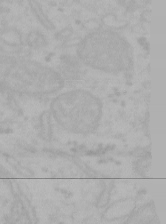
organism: Mouse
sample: Choroid plexus